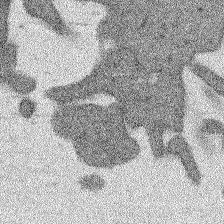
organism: Human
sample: HeLa cells